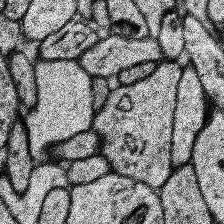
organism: Human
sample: Temporal Lobe